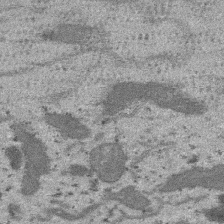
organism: Human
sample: Lung epithelial cells infected with SARS-CoV-2